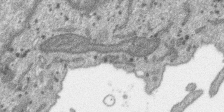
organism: Human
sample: Lung epithelial cells infected with SARS-CoV-2